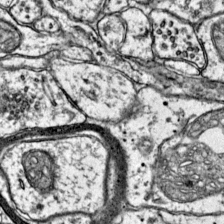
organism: Mouse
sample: Primary visual cortex